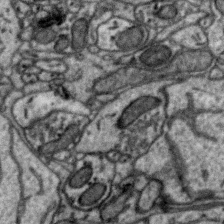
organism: Zebra finch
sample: Brain